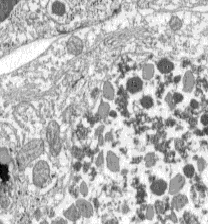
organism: C57BL Mouse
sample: Pancreatic islet